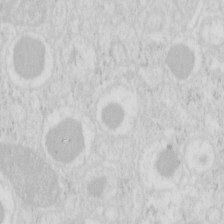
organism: Mouse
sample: Pancreas